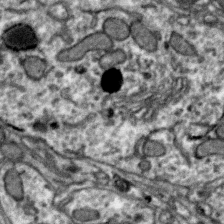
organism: Zebra finch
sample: Brain